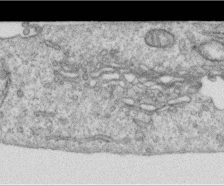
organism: Human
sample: Centriole in RPE cells